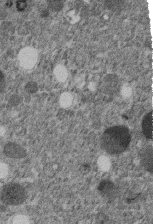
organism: C. elegans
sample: C. elegans embryo early stage